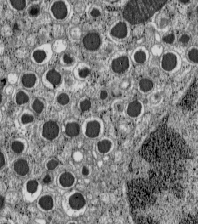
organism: C57BL Mouse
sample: Pancreatic islet